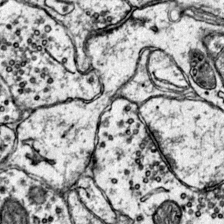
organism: Mouse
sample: Primary visual cortex